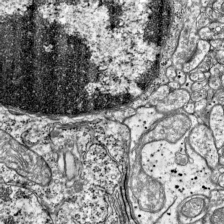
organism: Mouse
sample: Visual Cortex